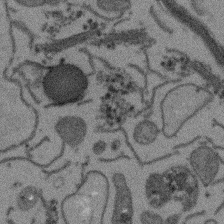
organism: Arabidopsis thaliana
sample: Root tip